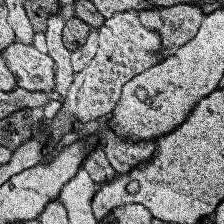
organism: Human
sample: Temporal Lobe